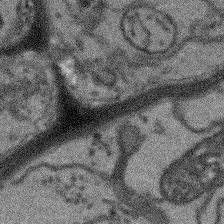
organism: Arabidopsis thaliana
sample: Root tip